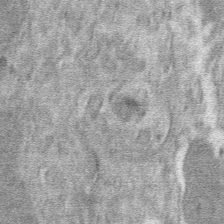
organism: Mouse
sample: Mouse hepatocytes